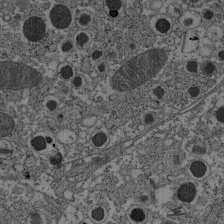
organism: C57BL Mouse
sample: Pancreatic islet